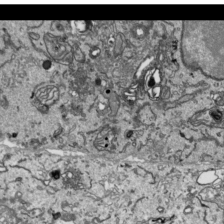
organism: Human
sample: Mitochondria in HCT116 cells